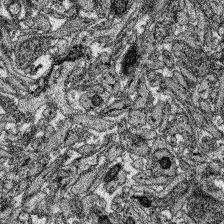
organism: Zebrafish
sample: Larval olfactory bulb